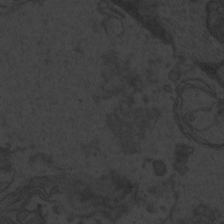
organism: Zebrafish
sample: Macrophage infected with Toxoplasma gondii